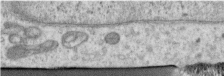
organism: Human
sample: Centriole in RPE cells